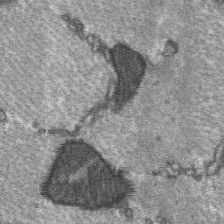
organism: C57BL Mouse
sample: Soleus